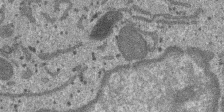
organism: Human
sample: Lung epithelial cells infected with SARS-CoV-2